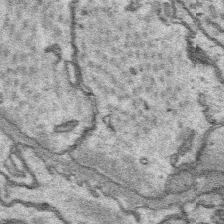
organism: Platynereis dumerilii